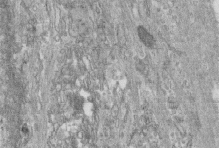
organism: Human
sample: Centriole in fibroblast cells